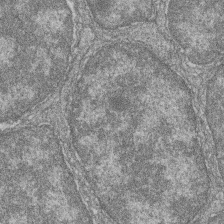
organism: Zebrafish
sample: Cilia; retinal pigment epithelium